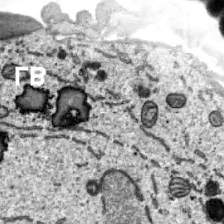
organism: Human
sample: HeLa cells